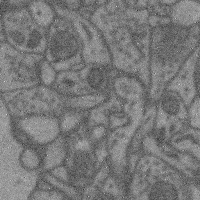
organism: Mouse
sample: Cerebral cortex